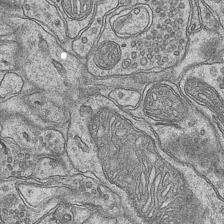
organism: Mouse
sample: CA1 Hippocampus